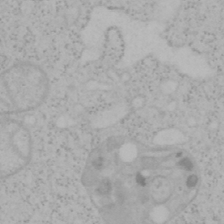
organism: Mouse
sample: OT-I killer T cells with ID8 ovarian cancer cells